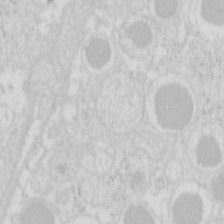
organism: Mouse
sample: Pancreas